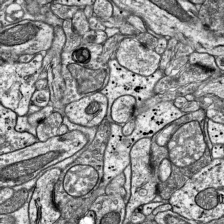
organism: Mouse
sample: Visual Cortex